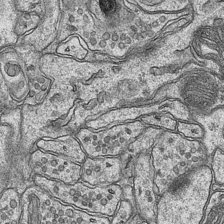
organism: Mouse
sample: CA1 Hippocampus